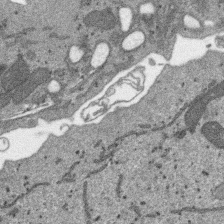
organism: Human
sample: Lung epithelial cells infected with SARS-CoV-2